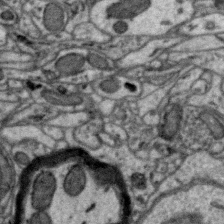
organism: Zebra finch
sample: Brain